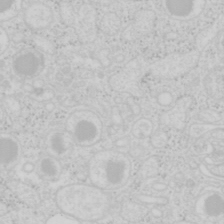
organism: Mouse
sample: Pancreas